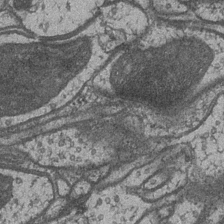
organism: Drosophila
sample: Optic medulla